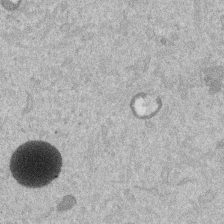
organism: Mouse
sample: Dividing mouse embryo 1 cell stage